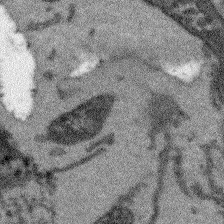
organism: Arabidopsis thaliana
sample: Root tip